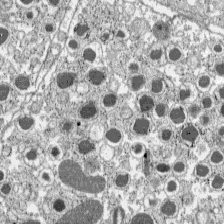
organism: C57BL Mouse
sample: Pancreatic islet